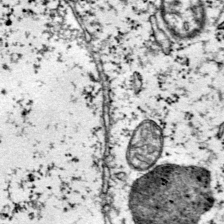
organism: Mouse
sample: Primary visual cortex